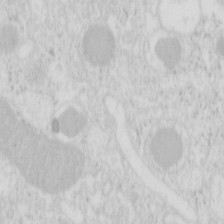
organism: Mouse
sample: Pancreas